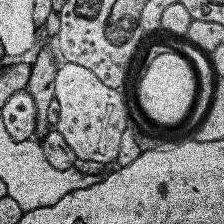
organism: Human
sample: Temporal Lobe